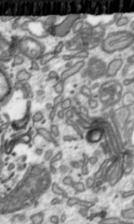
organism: Toxoplasma gondii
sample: Parasites in a vacuole inside a host cell